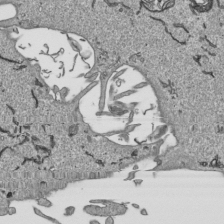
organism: Human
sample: Mitochondria in HCT116 cells